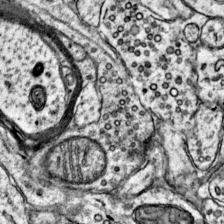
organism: Mouse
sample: Primary visual cortex